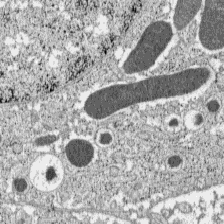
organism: C57BL Mouse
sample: Pancreatic islet